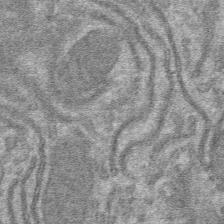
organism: Mouse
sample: Mouse hepatocytes